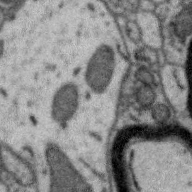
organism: Zebra finch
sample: Brain